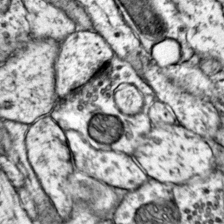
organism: Mouse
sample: Primary visual cortex